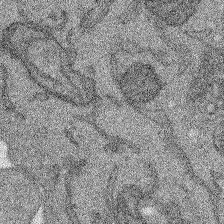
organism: Human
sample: HeLa cells